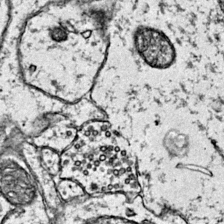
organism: Mouse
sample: Primary visual cortex